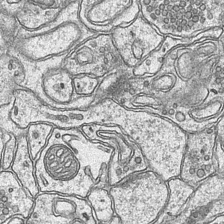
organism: Mouse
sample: CA1 Hippocampus